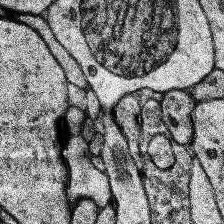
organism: Human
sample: Temporal Lobe